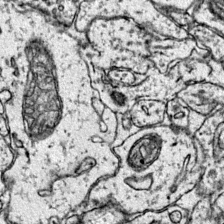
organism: Mouse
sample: Primary visual cortex